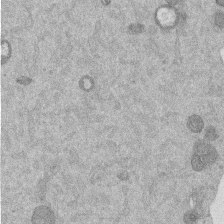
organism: Mouse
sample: Dividing mouse embryo 1 cell stage